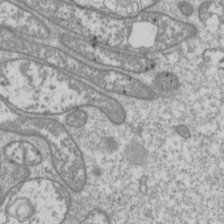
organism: Drosophila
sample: Cell division; meiosis; drosophila spermatocytes